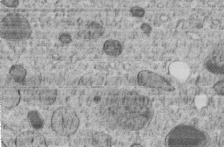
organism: C. elegans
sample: C. elegans embryo early stage